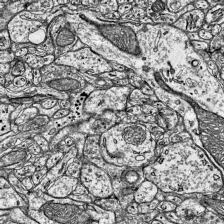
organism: Mouse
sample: Visual Cortex